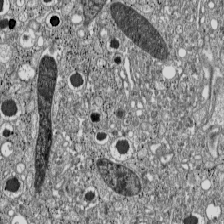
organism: C57BL Mouse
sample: Pancreatic islet